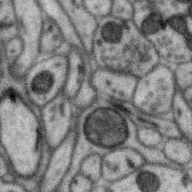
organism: Zebra finch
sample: Brain